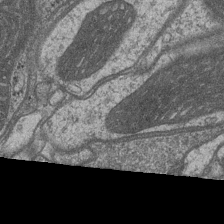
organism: Drosophila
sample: Optic medulla